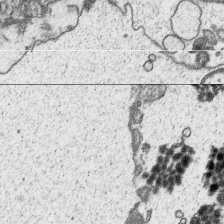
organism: Platynereis dumerilii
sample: Parapodia